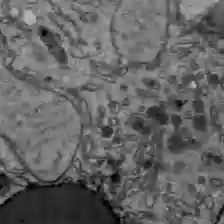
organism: C57BL Mouse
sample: Liver